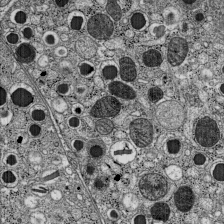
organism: C57BL Mouse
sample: Pancreatic islet